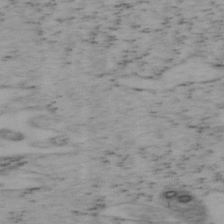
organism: Mouse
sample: OT-I killer T cells with ID8 ovarian cancer cells